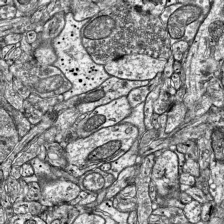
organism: Mouse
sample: Visual Cortex